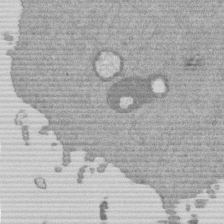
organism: Mouse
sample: Dividing mouse embryo 1 cell stage